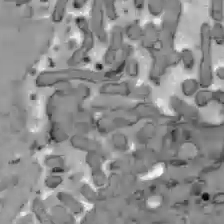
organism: C57BL Mouse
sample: Liver